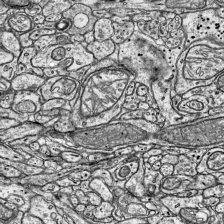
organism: Mouse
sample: Visual Cortex